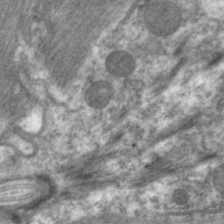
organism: C. elegans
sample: Pharynx